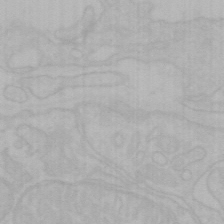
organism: Mouse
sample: Choroid plexus